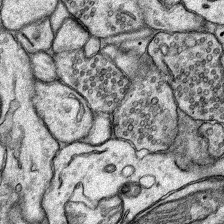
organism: Rat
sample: Hippocampus